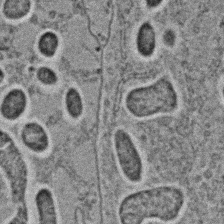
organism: C. elegans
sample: C. elegans embryo